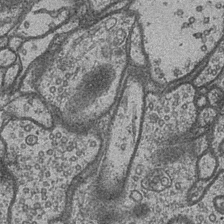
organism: Drosophila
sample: Optic medulla